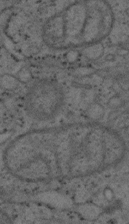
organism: Human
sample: HeLa cells